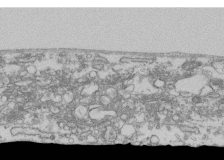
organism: Human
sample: Fibroblast cells